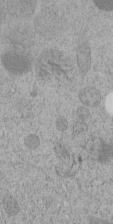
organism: C. elegans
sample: C. elegans embryo early stage